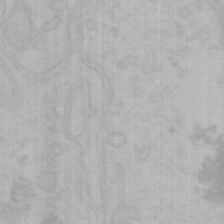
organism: Mouse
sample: Choroid plexus